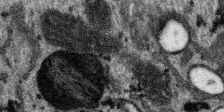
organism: Human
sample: Lung epithelial cells infected with SARS-CoV-2